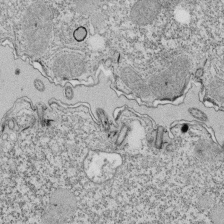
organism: Tetrahymena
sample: Cilia in tetrahymena